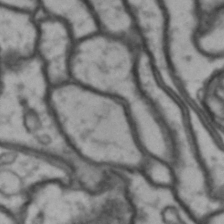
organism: Drosophila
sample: Brain